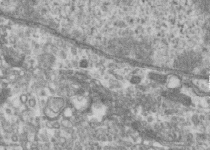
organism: Human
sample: Centriole in RPE cells